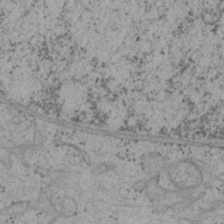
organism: Human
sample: HeLa cells